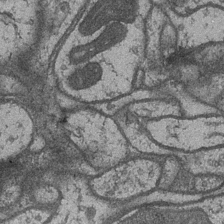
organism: Drosophila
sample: Optic medulla